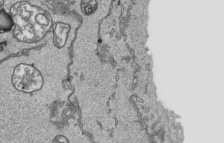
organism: Human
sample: Mitochondria in HCT116 cells